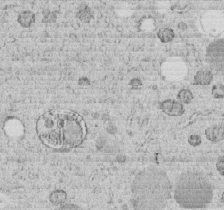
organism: C. elegans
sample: C. elegans embryo early stage